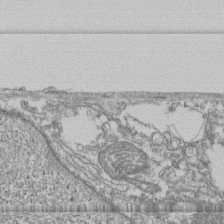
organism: Human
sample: Fibroblast cells